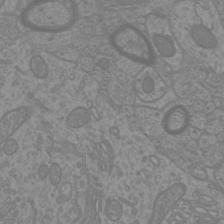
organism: Mouse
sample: Cortical neurons